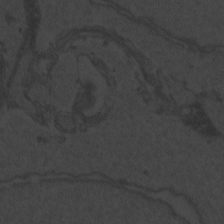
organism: Zebrafish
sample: Macrophage infected with Toxoplasma gondii